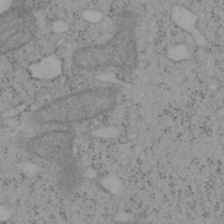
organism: Mouse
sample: OT-I killer T cells with ID8 ovarian cancer cells